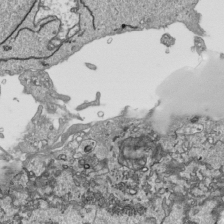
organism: Human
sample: Mitochondria in HCT116 cells